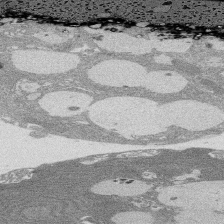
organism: Rat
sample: Salivary granule